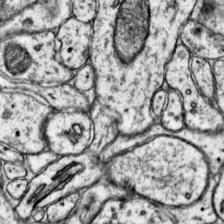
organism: Mouse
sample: Primary visual cortex